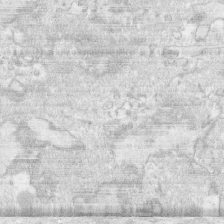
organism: Human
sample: CRL-1474